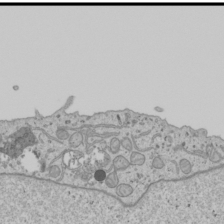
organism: Human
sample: Mitochondria in U2OS cells